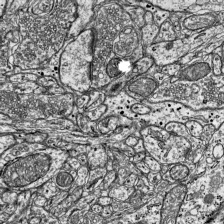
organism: Mouse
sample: Visual Cortex